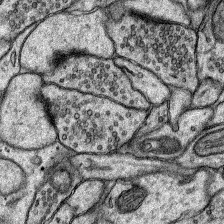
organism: Rat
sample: Hippocampus